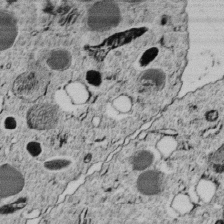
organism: C. elegans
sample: C. elegans embryo early stage